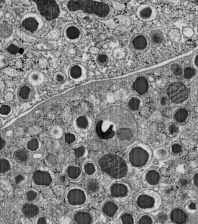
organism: C57BL Mouse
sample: Pancreatic islet